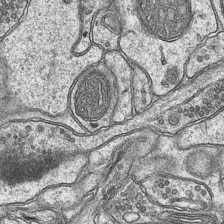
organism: Mouse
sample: CA1 Hippocampus